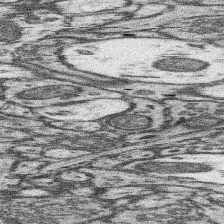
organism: Mouse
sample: Somatosensory cortex neuropil